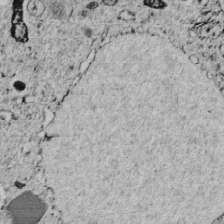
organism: C. elegans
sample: C. elegans embryo early stage